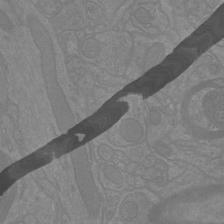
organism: Mouse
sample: Cortical neurons